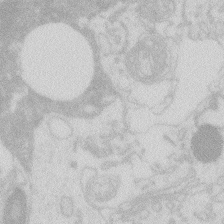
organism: Zebrafish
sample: Macrophage